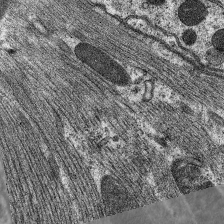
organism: C. elegans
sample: Pharynx